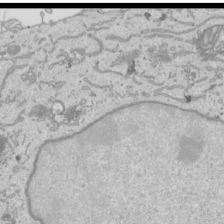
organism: Human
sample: Mitochondria in HCT116 cells